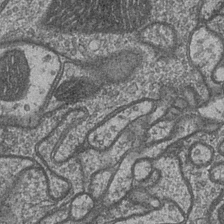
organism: Drosophila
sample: Optic medulla